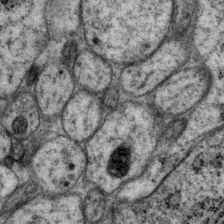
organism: P. pacificus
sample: Pharynx